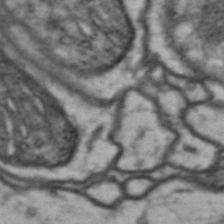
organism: Drosophila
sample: Brain